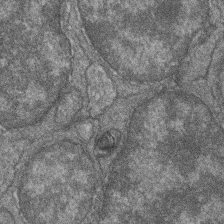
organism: Zebrafish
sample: Cilia; retinal pigment epithelium